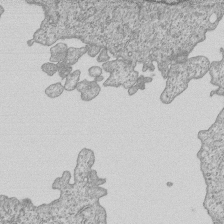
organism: Human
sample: MDA-MB-231 cells